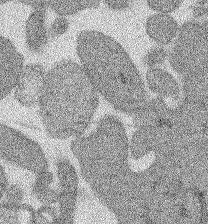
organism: Human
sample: HeLa cells